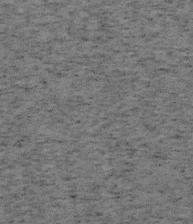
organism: Mouse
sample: OT-I killer T cells with ID8 ovarian cancer cells